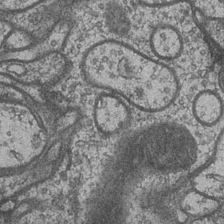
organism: Drosophila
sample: Optic medulla